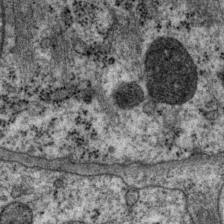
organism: P. pacificus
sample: Pharynx